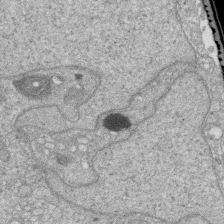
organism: Human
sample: HeLa cell HIV synapse